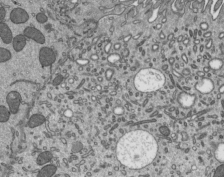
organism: Mouse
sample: Mouse epididymis efferent ductule cilia